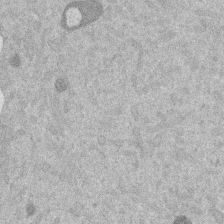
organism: Mouse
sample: Dividing mouse embryo 1 cell stage